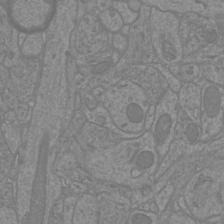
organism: Mouse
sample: Cortical neurons